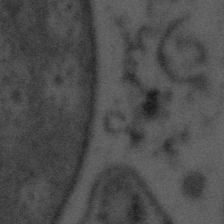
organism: Tuwongella immobilis